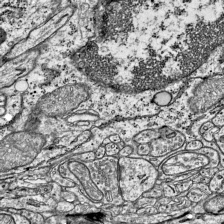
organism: Mouse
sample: Visual Cortex